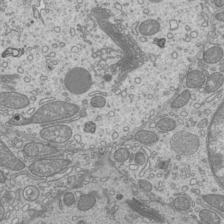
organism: Mouse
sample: Cilia; mouse epididymis